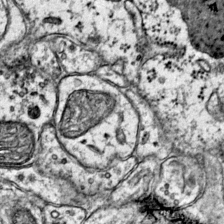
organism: Mouse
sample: Primary visual cortex